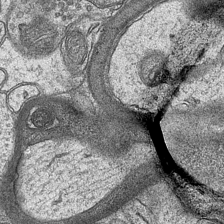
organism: Mouse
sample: CA1 Hippocampus